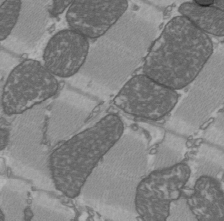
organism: C57BL Mouse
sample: Heart